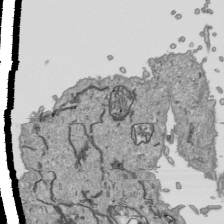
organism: Human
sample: Mitochondria in HCT116 cells